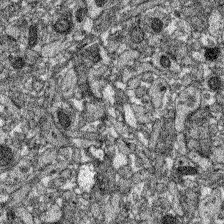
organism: Zebrafish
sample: Larval olfactory bulb